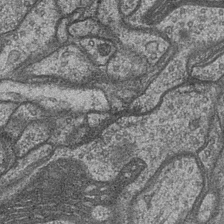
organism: Drosophila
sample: Optic medulla